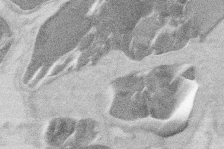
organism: Mouse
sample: T cell stromal cell synapse